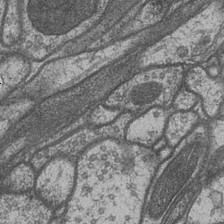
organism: Drosophila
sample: Optic medulla